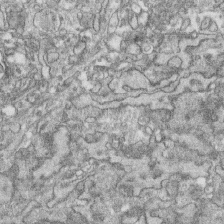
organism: Human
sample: CRL-1474